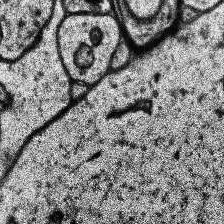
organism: Human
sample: Temporal Lobe